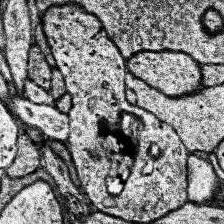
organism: Human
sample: Temporal Lobe